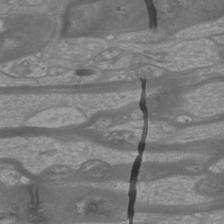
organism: Mouse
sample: Cortical neurons